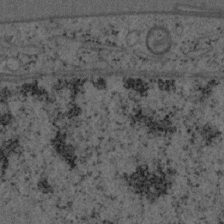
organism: Human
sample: HeLa cells